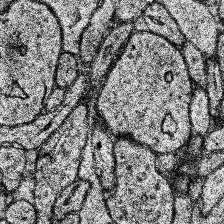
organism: Human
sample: Temporal Lobe